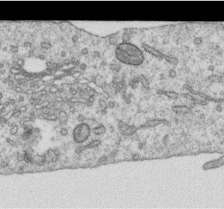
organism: Human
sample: Centriole in RPE cells